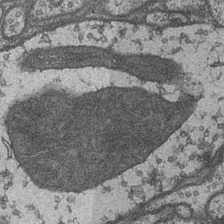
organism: Drosophila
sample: Optic medulla